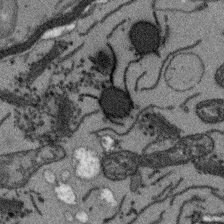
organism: Arabidopsis thaliana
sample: Root tip